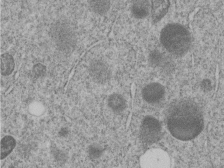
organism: C. elegans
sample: C. elegans embryo early stage